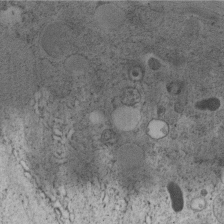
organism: C. elegans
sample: C. elegans embryo early stage